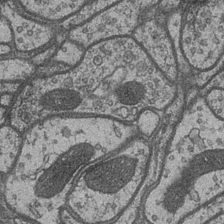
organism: Drosophila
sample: Optic medulla